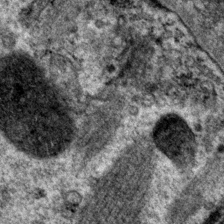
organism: P. pacificus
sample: Pharynx